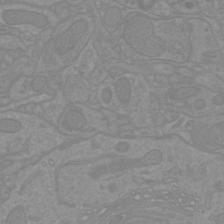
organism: Mouse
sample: Cortical neurons